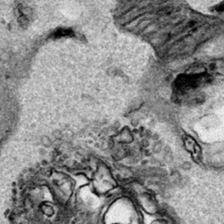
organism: Human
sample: Mitochondria in HCT116 cells